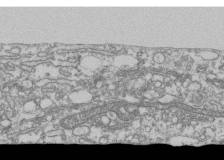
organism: Human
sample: Fibroblast cells